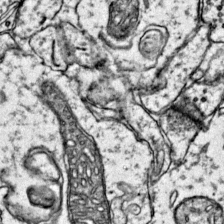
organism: Mouse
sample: Primary visual cortex